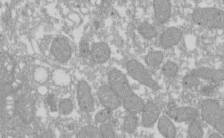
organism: Xenopus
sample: Cilia; centrioles in frog embryo cells